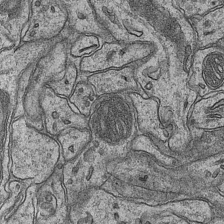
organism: Mouse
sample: CA1 Hippocampus